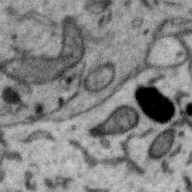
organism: Zebra finch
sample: Brain